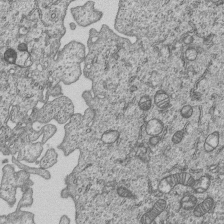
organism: Human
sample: MDA-MB-231 cells